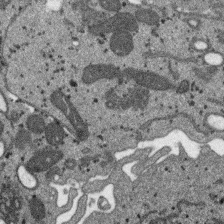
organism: Human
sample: Lung epithelial cells infected with SARS-CoV-2